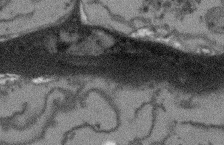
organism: Arabidopsis thaliana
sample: Root tip